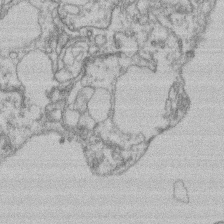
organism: Mouse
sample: T cell stromal cell synapse